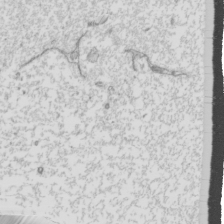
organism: Mouse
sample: Cilia; mouse epididymis